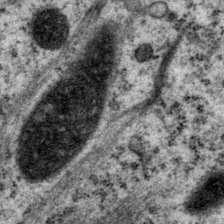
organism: P. pacificus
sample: Pharynx